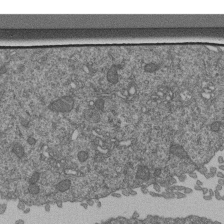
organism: Human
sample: Retinal organoid Rod and Cone cells